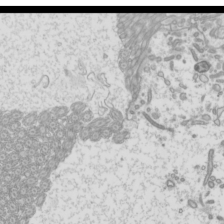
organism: Mouse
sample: Cilia; mouse epididymis